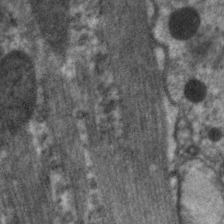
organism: C. elegans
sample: Pharynx